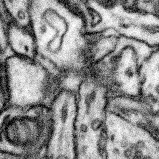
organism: Mouse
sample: Somatosensory cortex neuropil